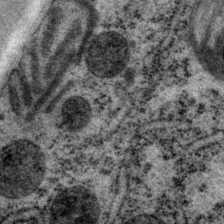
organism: P. pacificus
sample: Pharynx